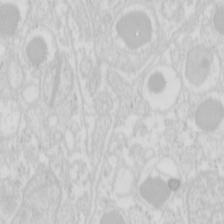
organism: Mouse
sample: Pancreas